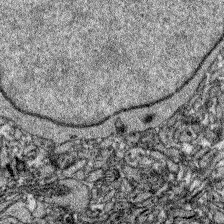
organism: Zebrafish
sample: Larval olfactory bulb